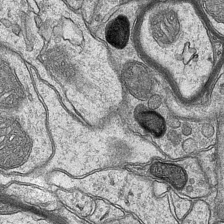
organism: Mouse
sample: CA1 Hippocampus